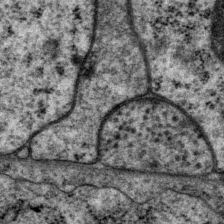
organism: P. pacificus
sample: Pharynx